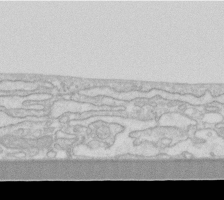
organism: Human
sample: Fibroblast cells